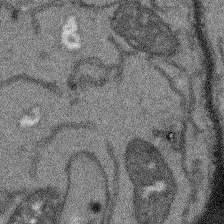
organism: Arabidopsis thaliana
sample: Root tip